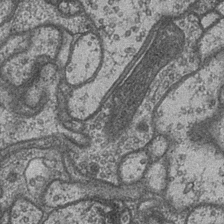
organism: Drosophila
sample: Optic medulla